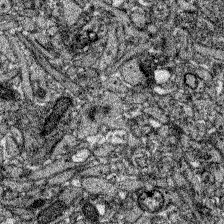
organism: Zebrafish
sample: Larval olfactory bulb